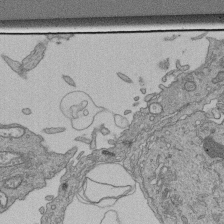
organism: Human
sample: Retinal organoid Rod and Cone cells